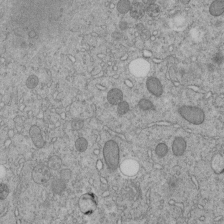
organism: C. elegans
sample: C. elegans embryo early stage